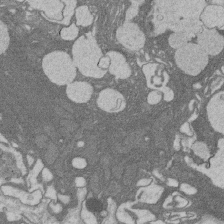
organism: Rat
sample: Salivary granule